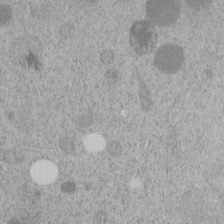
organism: C. elegans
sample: C. elegans embryo early stage